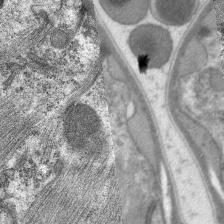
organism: C. elegans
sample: Pharynx